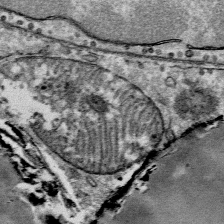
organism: Mouse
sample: Mouse Salivary gland